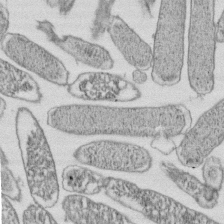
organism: E. coli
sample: Bacterial nucleoid